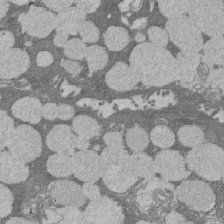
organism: Rat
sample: Salivary granule